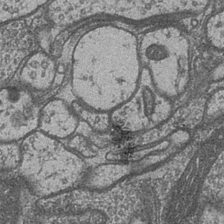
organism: Drosophila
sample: Optic medulla